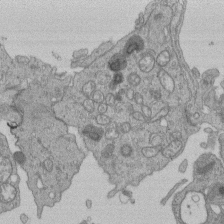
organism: Human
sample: Retinal organoid Rod and Cone cells